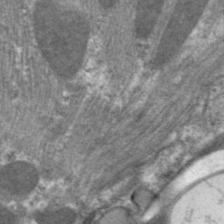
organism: C. elegans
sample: Pharynx